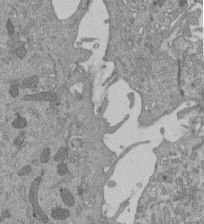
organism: Mouse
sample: ED-1 cell nuclei; centrioles